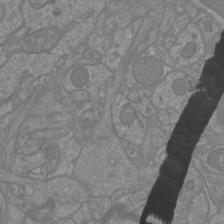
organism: Mouse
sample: Cortical neurons